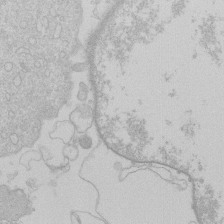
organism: Human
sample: Macrophage cells